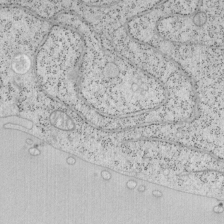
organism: Mouse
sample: OT-I killer T cells with ID8 ovarian cancer cells